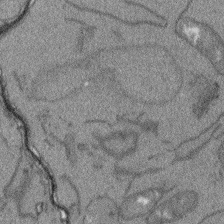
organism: Arabidopsis thaliana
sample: Root tip